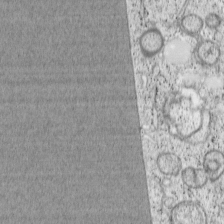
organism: African green monkey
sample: COS-7 cells